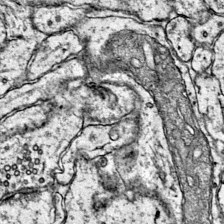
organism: Mouse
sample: Primary visual cortex